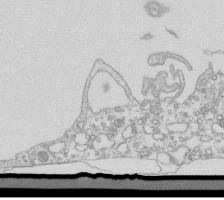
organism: Mouse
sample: Macrophages